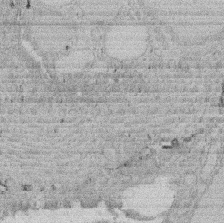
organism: Rat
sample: Salivary granule